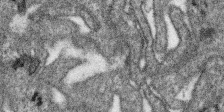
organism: Human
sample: Lung epithelial cells infected with SARS-CoV-2